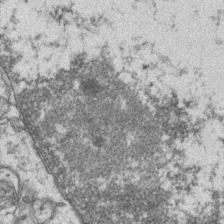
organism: Mouse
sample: CA1 Hippocampus